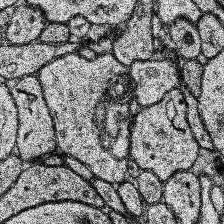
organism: Human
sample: Temporal Lobe